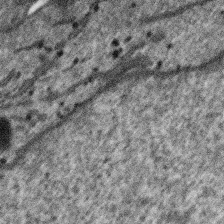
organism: Human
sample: Lung epithelial cells infected with SARS-CoV-2